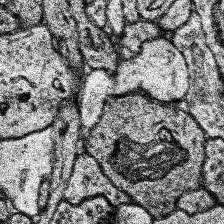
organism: Human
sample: Temporal Lobe